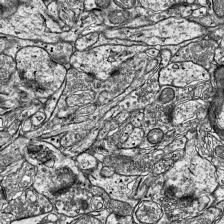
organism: Mouse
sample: Visual Cortex